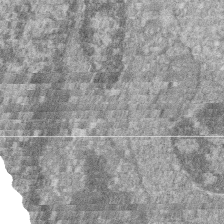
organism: Zebrafish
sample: Cilia; retinal pigment epithelium